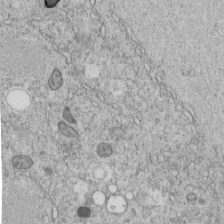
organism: C. elegans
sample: C. elegans embryo early stage